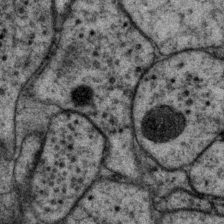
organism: P. pacificus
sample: Pharynx